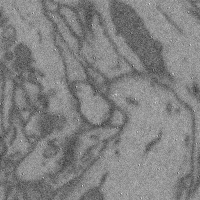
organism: Mouse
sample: Cerebral cortex